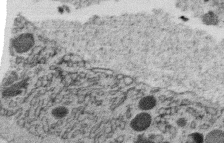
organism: C. elegans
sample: C. elegans oocyte; sperm cells